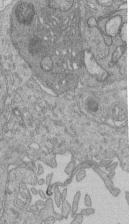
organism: Human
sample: Retinal organoid Rod and Cone cells